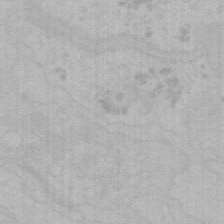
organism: Mouse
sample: Choroid plexus